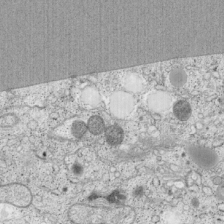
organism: African green monkey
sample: COS-7 cells